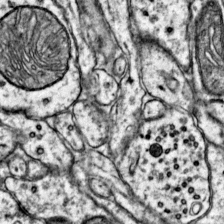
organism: Mouse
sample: Primary visual cortex